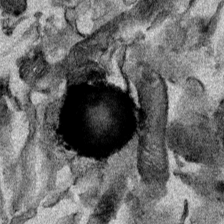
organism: Mouse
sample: Cancer cell death in ED-1 cells